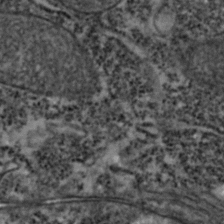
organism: Zebrafish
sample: Zebrafish embryo